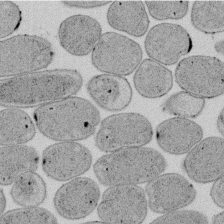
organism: E. coli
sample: Bacterial nucleoid